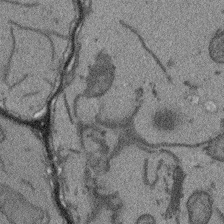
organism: Arabidopsis thaliana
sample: Root tip